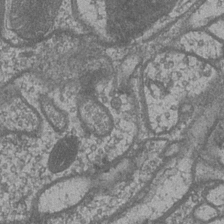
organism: Drosophila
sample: Optic medulla